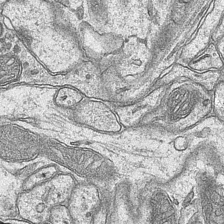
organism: Mouse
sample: CA1 Hippocampus